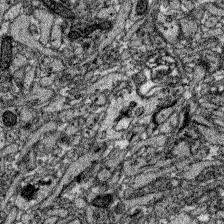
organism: Zebrafish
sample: Larval olfactory bulb